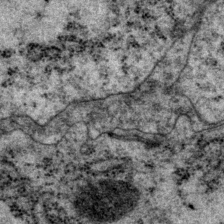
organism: P. pacificus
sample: Pharynx